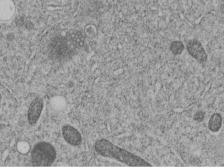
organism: C. elegans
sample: C. elegans embryo early stage